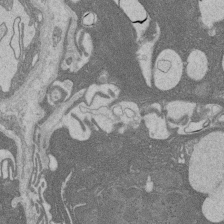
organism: Rat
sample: Salivary granule